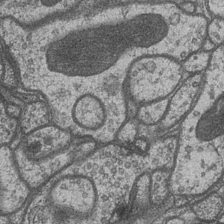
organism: Drosophila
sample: Optic medulla